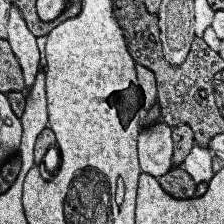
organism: Human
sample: Temporal Lobe